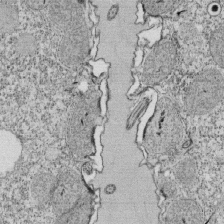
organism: Tetrahymena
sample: Cilia in tetrahymena